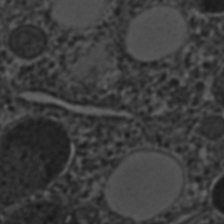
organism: C. elegans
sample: C. elegans embryo